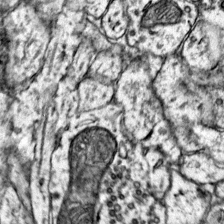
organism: Mouse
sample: Primary visual cortex